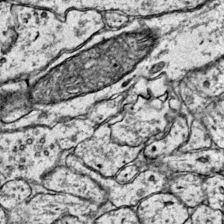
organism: Mouse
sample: Primary visual cortex